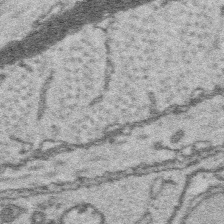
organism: Platynereis dumerilii